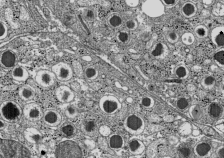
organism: C57BL Mouse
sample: Pancreatic islet